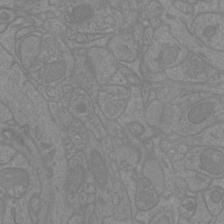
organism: Mouse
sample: Cortical neurons